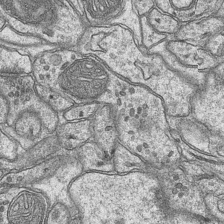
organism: Mouse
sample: CA1 Hippocampus